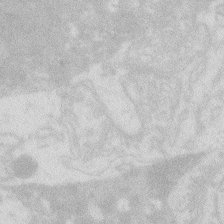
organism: Zebrafish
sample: Macrophage